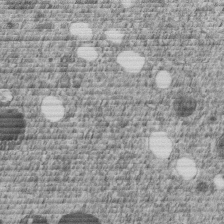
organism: C. elegans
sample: C. elegans embryo early stage